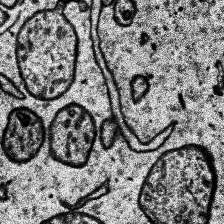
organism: Human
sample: Temporal Lobe